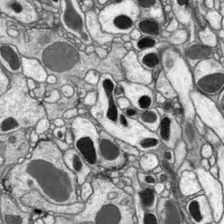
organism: Drosophila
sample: Optic lobe